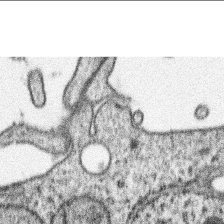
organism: Human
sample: HeLa cells